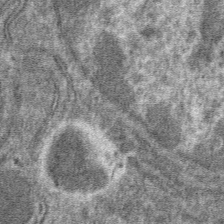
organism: Mouse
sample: Mouse hepatocytes